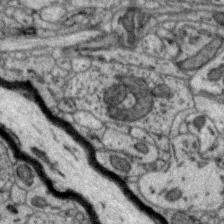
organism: Zebra finch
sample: Brain